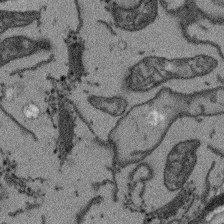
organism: Arabidopsis thaliana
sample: Root tip